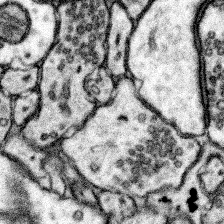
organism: Mouse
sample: Somatosensory cortex neuropil